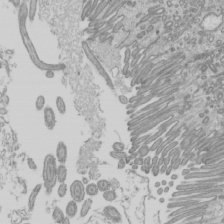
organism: Mouse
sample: Cilia; mouse epididymis